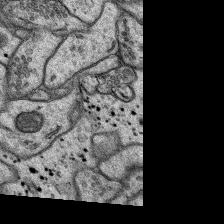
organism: Rat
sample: Hippocampus